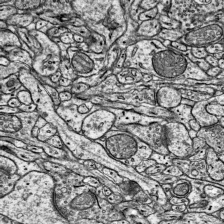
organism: Mouse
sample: Visual Cortex